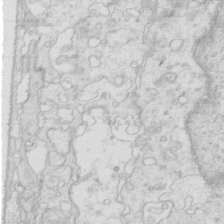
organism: Mouse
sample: Multiciliated cells